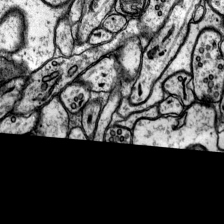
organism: Rat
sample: Hippocampus